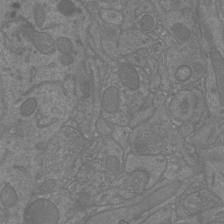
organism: Mouse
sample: Cortical neurons